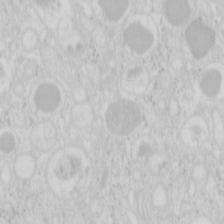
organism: Mouse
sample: Pancreas